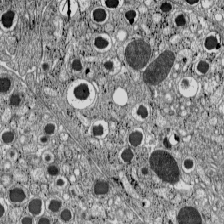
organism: C57BL Mouse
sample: Pancreatic islet